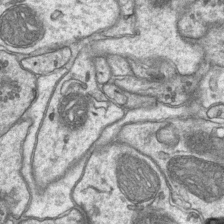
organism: Mouse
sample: CA1 Hippocampus